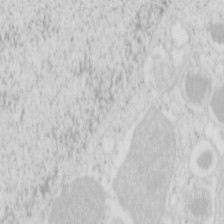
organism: Mouse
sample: Pancreas